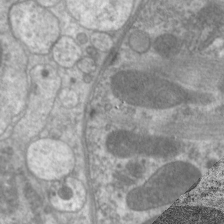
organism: C. elegans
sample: Pharynx